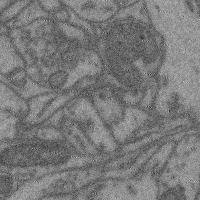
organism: Mouse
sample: Cerebral cortex